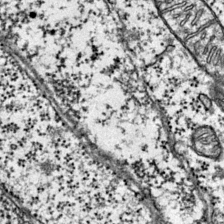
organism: Mouse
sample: Primary visual cortex